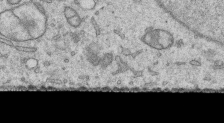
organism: Human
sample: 1205lu cells